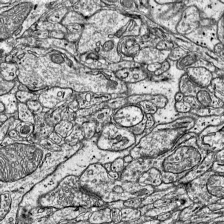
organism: Mouse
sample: Visual Cortex